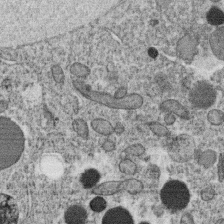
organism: C. elegans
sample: C. elegans oocyte; sperm cells